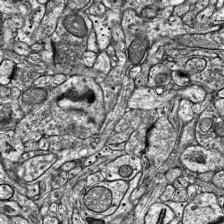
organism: Mouse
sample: Visual Cortex